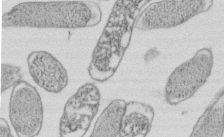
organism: E. coli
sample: Bacterial nucleoid